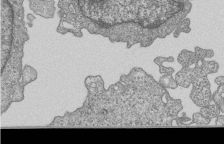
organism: Human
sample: MDA-MB-231 cells